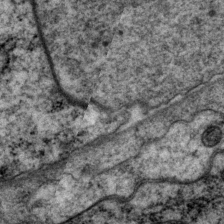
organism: P. pacificus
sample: Pharynx